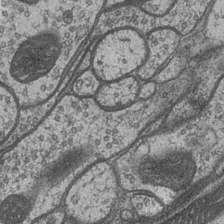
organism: Drosophila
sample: Optic medulla